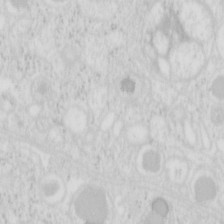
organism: Mouse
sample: Pancreas